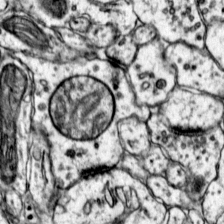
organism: Mouse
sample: Primary visual cortex